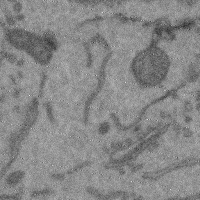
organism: Mouse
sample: Cerebral cortex